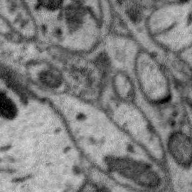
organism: Zebra finch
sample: Brain